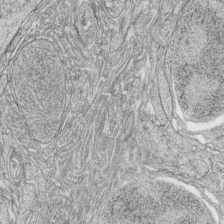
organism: Zebrafish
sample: synaptic ribbons in rod cells and cone cells